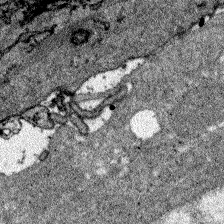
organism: Zebrafish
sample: Larval olfactory bulb